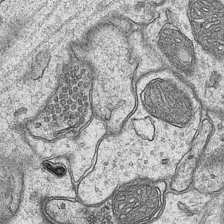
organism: Mouse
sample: CA1 Hippocampus